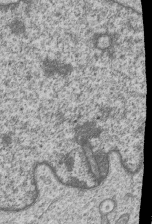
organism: Human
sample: MDA-MB-231 cells